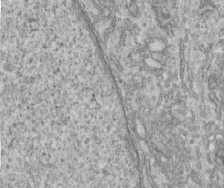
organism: Human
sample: Centriole in fibroblast cells